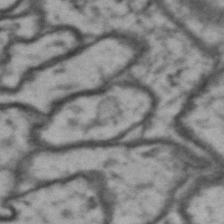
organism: Drosophila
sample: Brain